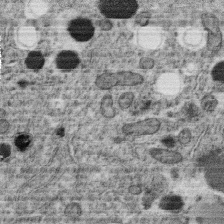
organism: C. elegans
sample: C. elegans oocyte; sperm cells